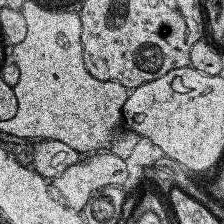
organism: Human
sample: Temporal Lobe